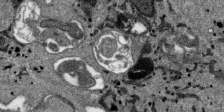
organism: Human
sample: Lung epithelial cells, uninfected (mock) control